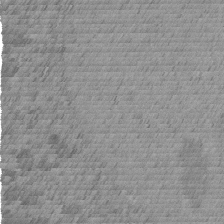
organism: C. elegans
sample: C. elegans embryo early stage